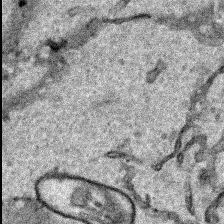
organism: Human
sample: Mitochondria in HCT116 cells